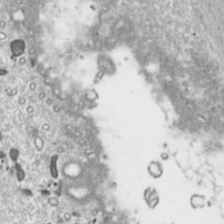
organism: Toxoplasma gondii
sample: Parasites in a vacuole inside a host cell